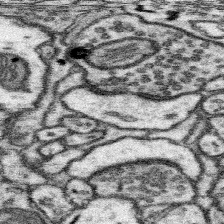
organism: Mouse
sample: Somatosensory cortex neuropil